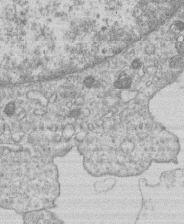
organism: Human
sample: Macrophage cells